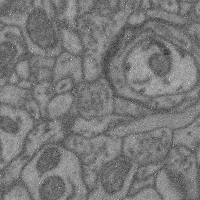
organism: Mouse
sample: Cerebral cortex